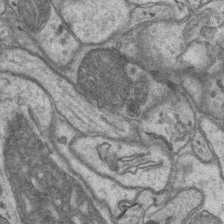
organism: Mouse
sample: CA1 Hippocampus